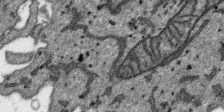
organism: Human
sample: Lung epithelial cells, uninfected (mock) control